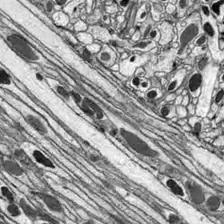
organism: Drosophila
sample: Optic lobe